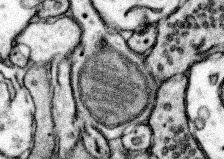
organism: Mouse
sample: Somatosensory cortex neuropil